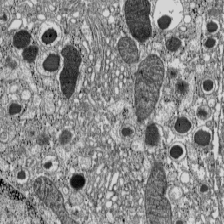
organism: C57BL Mouse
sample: Pancreatic islet